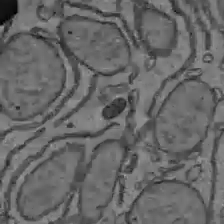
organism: C57BL Mouse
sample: Liver